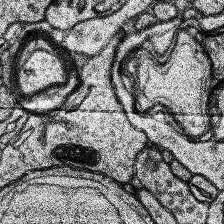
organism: Human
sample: Temporal Lobe